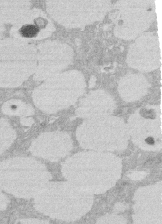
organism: Rat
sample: Salivary granule